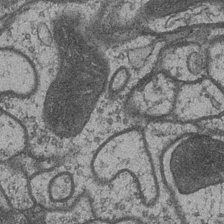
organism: Drosophila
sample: Optic medulla